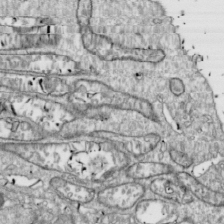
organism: Drosophila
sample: Cell division; meiosis; drosophila spermatocytes